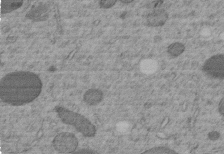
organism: C. elegans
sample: C. elegans embryo early stage